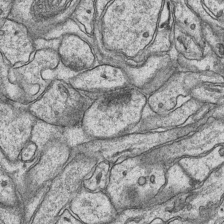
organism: Mouse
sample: CA1 Hippocampus